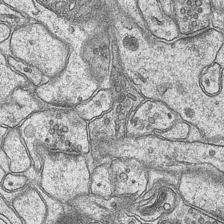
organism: Mouse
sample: CA1 Hippocampus